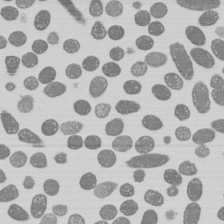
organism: E. coli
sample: Bacterial nucleoid